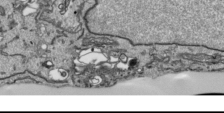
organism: Human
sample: Mitochondria in HCT116 cells